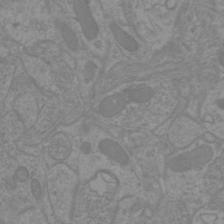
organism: Mouse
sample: Cortical neurons